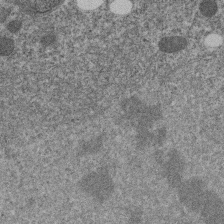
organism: C. elegans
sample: C. elegans embryo early stage